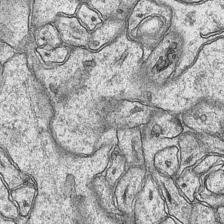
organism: Mouse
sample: CA1 Hippocampus